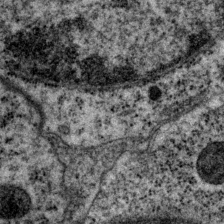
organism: P. pacificus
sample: Pharynx